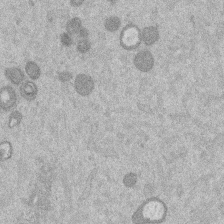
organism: Mouse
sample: Dividing mouse embryo 1 cell stage